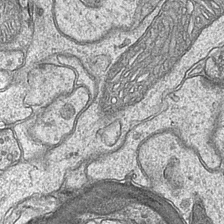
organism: Mouse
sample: CA1 Hippocampus